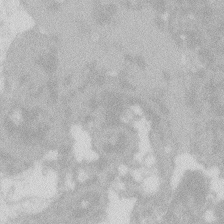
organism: Zebrafish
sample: Macrophage